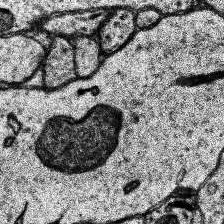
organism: Human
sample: Temporal Lobe